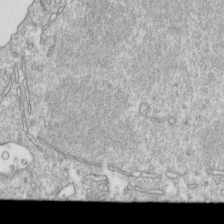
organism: Mouse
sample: Activated OT-1 CD8+ T cells